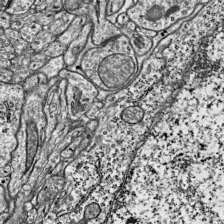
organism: Mouse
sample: Visual Cortex